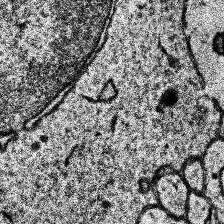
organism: Human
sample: Temporal Lobe